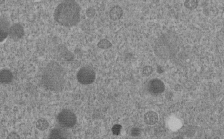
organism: C. elegans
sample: C. elegans embryo early stage